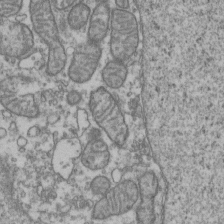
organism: Human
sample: Activated Jurkat CD4+ T cells